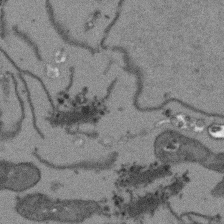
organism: Arabidopsis thaliana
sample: Root tip